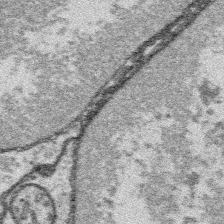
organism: Platynereis dumerilii